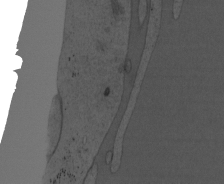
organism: Mouse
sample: OT-I killer T cells with ID8 ovarian cancer cells